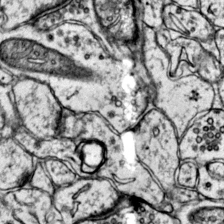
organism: Mouse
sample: Primary visual cortex